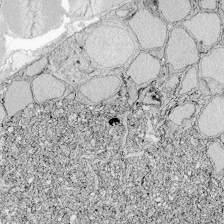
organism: Zebrafish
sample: Whole-Brain